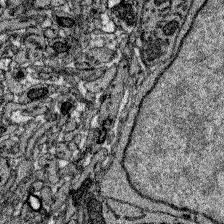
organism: Zebrafish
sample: Larval olfactory bulb